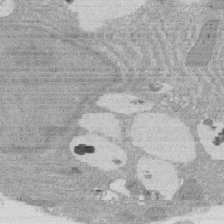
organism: Rat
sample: Salivary granule